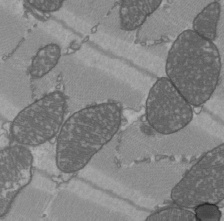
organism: C57BL Mouse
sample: Heart